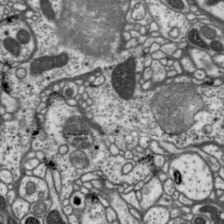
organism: Drosophila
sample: Protocerebral bridge